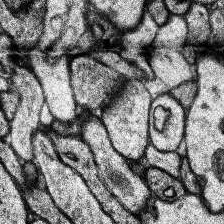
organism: Human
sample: Temporal Lobe